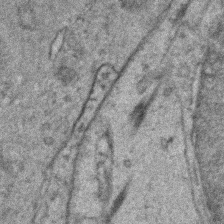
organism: Zebrafish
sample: Zebrafish embryo